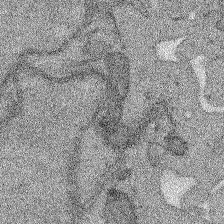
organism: Human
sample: HeLa cells